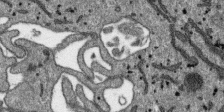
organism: Human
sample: Lung epithelial cells, uninfected (mock) control